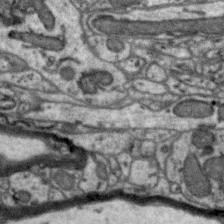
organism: Zebra finch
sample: Brain